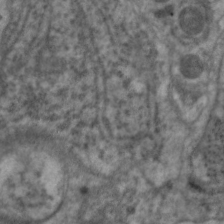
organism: C. elegans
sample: Pharynx